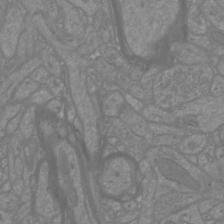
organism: Mouse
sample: Cortical neurons